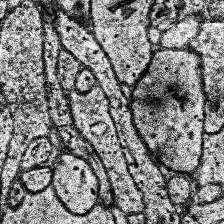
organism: Human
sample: Temporal Lobe